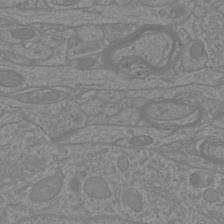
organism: Mouse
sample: Cortical neurons